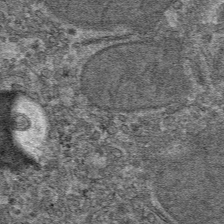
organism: Mouse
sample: Mouse hepatocytes